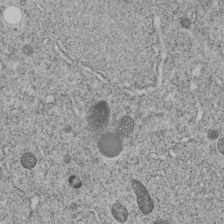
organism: C. elegans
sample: C. elegans embryo early stage